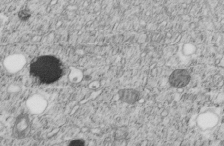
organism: C. elegans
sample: C. elegans embryo early stage